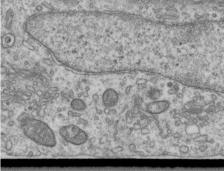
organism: Human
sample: Centriole in RPE cells